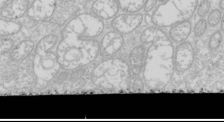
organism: Drosophila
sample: Cell division; meiosis; drosophila spermatocytes